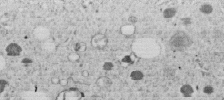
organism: C. elegans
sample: C. elegans embryo early stage